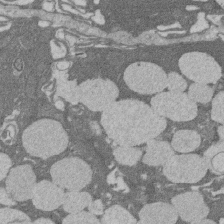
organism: Rat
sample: Salivary granule